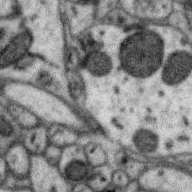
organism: Zebra finch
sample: Brain